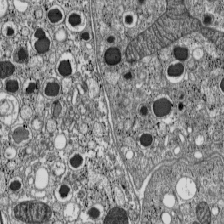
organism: C57BL Mouse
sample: Pancreatic islet